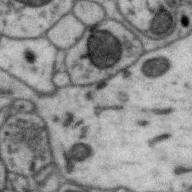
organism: Zebra finch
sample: Brain